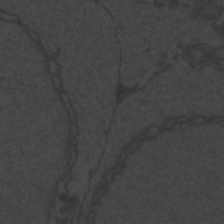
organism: Zebrafish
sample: Macrophage infected with Toxoplasma gondii